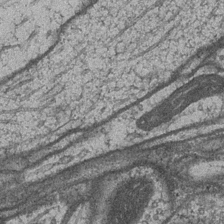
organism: Drosophila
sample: Optic medulla